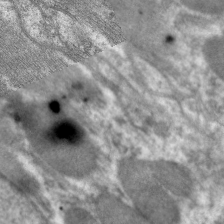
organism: C. elegans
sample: Pharynx